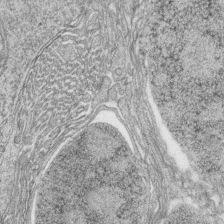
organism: Zebrafish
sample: synaptic ribbons in rod cells and cone cells